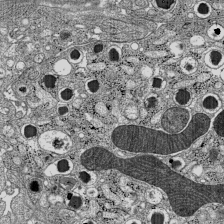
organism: C57BL Mouse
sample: Pancreatic islet